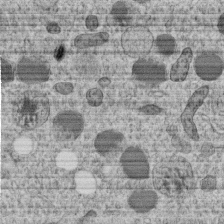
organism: C. elegans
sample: C. elegans embryo early stage